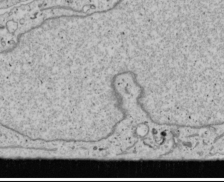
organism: Human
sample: Mitochondria in U2OS cells